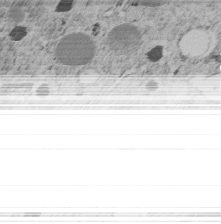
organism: C. elegans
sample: C. elegans embryo early stage